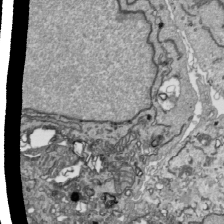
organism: Human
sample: Mitochondria in HCT116 cells